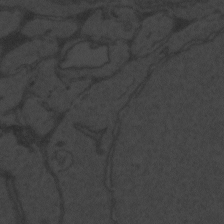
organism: Zebrafish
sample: Macrophage infected with Toxoplasma gondii